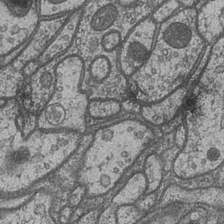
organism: Drosophila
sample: Optic medulla